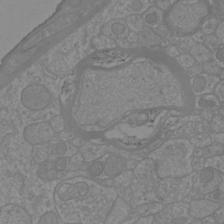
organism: Mouse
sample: Cortical neurons